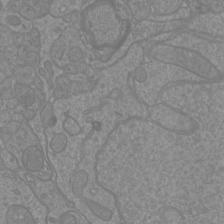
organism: Mouse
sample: Cortical neurons